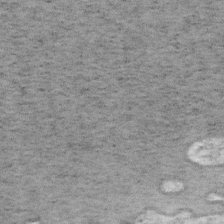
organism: Mouse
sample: OT-I killer T cells with ID8 ovarian cancer cells